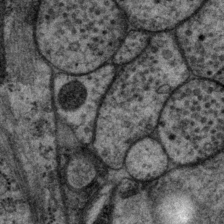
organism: P. pacificus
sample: Pharynx